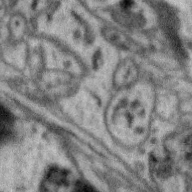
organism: Zebra finch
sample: Brain